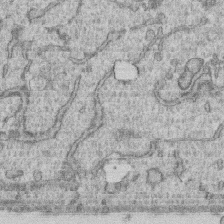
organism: Human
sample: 1205lu cells